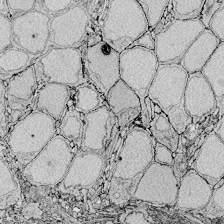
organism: Zebrafish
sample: Whole-Brain